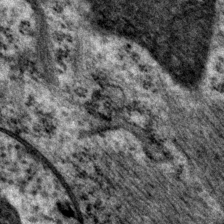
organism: P. pacificus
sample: Pharynx